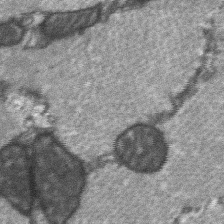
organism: C57BL Mouse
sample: Soleus